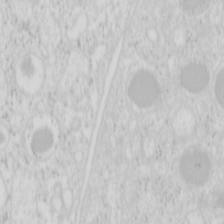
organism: Mouse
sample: Pancreas